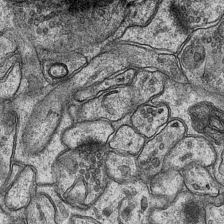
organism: Mouse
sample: CA1 Hippocampus